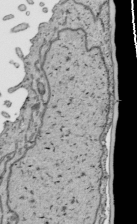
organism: Human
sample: Mitochondria in HCT116 cells